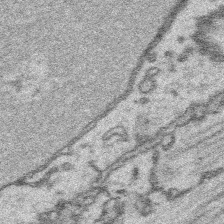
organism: Platynereis dumerilii